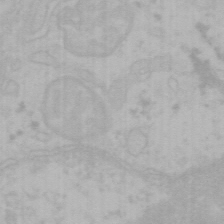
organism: Mouse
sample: Choroid plexus